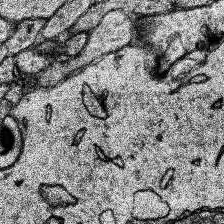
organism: Human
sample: Temporal Lobe